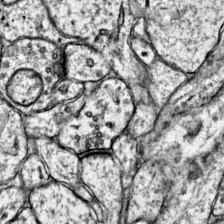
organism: Mouse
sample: Primary visual cortex